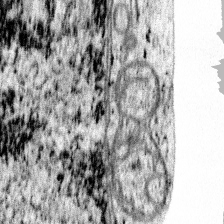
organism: Human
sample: HeLa cells